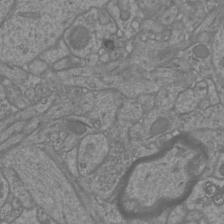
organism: Mouse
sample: Cortical neurons